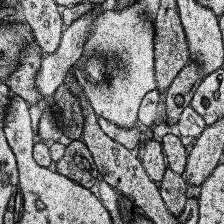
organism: Human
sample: Temporal Lobe